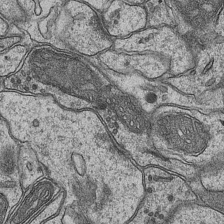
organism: Mouse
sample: CA1 Hippocampus